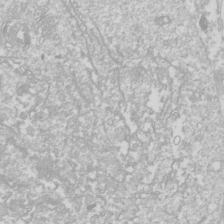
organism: Drosophila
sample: Cell division; meiosis; drosophila spermatocytes